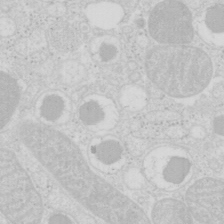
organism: Mouse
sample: Pancreas